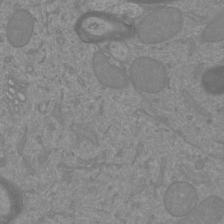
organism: Mouse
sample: Cortical neurons